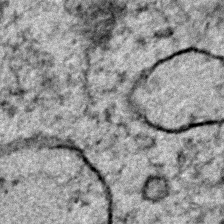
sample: Trachea